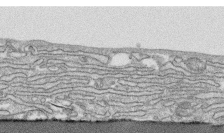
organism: Human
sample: CRL-1474